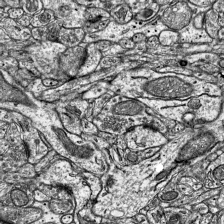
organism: Mouse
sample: Visual Cortex